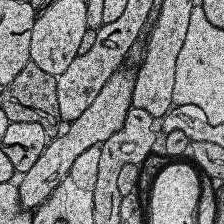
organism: Human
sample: Temporal Lobe